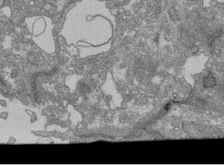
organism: Human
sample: Retinal organoid Rod and Cone cells